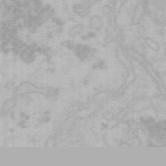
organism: Mouse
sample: Choroid plexus